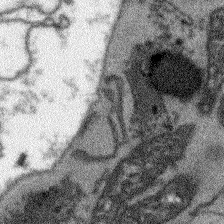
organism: Arabidopsis thaliana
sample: Root tip